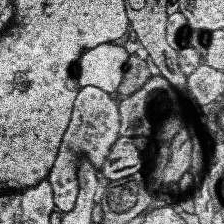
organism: Human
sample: Temporal Lobe